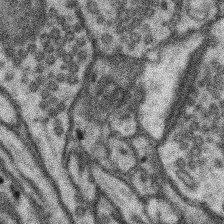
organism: Mouse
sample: Somatosensory cortex neuropil